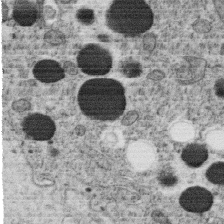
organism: C. elegans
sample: C. elegans oocyte; sperm cells